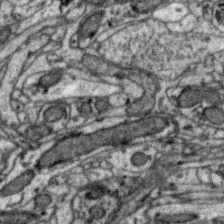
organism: Zebra finch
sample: Brain